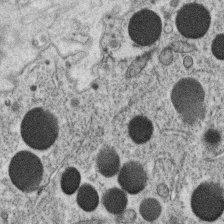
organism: C. elegans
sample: C. elegans oocyte; sperm cells